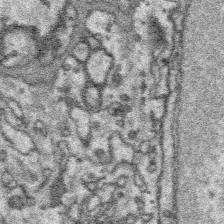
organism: Platynereis dumerilii